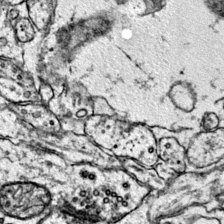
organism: Mouse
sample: Primary visual cortex